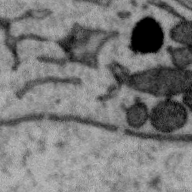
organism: Zebra finch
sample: Brain